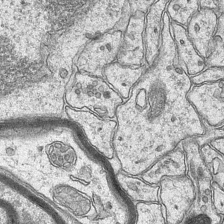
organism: Mouse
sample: CA1 Hippocampus